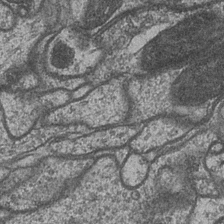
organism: Drosophila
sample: Optic medulla